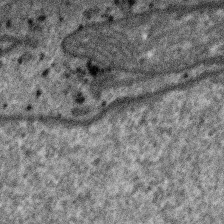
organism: Human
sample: Lung epithelial cells infected with SARS-CoV-2